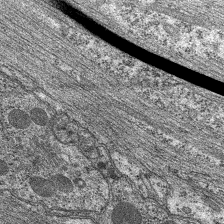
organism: C. elegans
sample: Pharynx